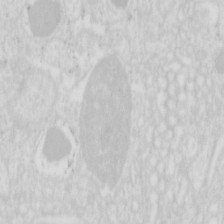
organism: Mouse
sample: Pancreas